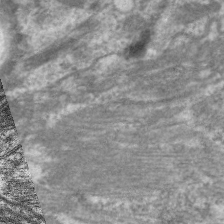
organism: C. elegans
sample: Pharynx